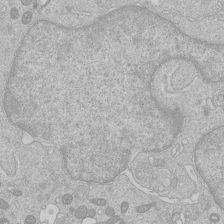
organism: Human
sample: Macrophage cells